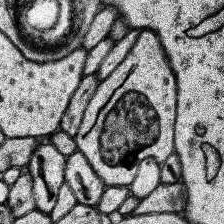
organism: Human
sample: Temporal Lobe